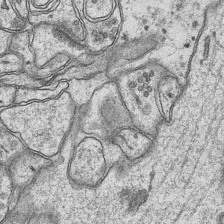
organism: Mouse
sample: CA1 Hippocampus